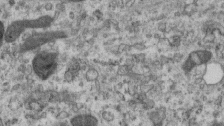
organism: Mouse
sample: Centriole in ependymal cells